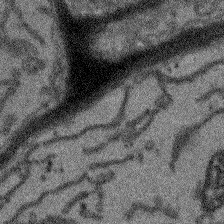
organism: Arabidopsis thaliana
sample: Root tip